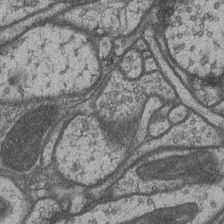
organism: Drosophila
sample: Optic medulla